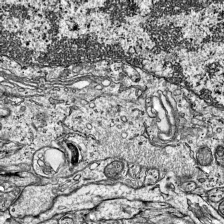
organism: Mouse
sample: Visual Cortex